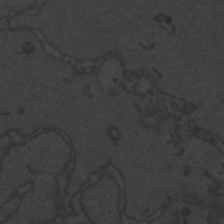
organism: Zebrafish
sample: Macrophage infected with Toxoplasma gondii